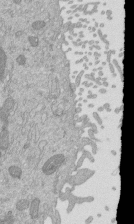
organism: Mouse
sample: ED-1 cell nuclei; centrioles